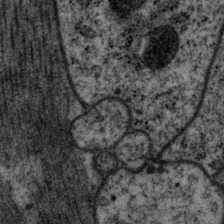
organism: P. pacificus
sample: Pharynx